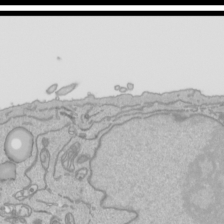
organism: Human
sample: Mitochondria in HCT116 cells